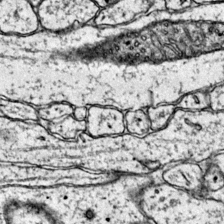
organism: Mouse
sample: Primary visual cortex